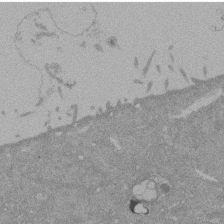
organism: Mouse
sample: ED-1 cell nuclei; centrioles